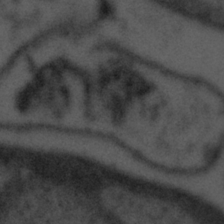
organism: Tuwongella immobilis